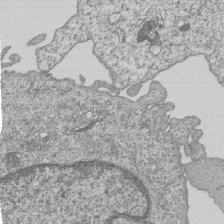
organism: Human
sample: MDA-MB-231 cells